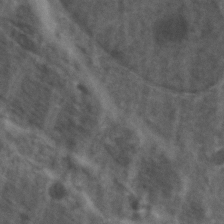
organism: Zebrafish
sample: Zebrafish embryo